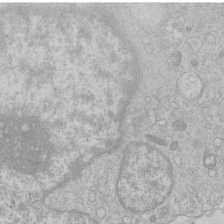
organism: Human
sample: Macrophage cells